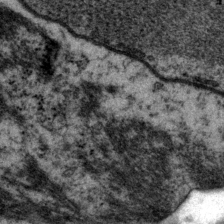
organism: P. pacificus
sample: Pharynx